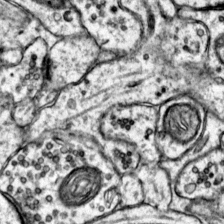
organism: Mouse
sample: Primary visual cortex